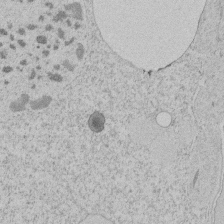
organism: Tetrahymena